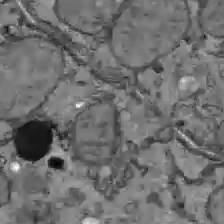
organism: C57BL Mouse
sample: Liver